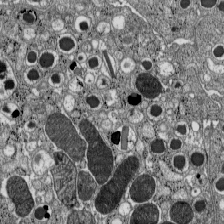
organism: C57BL Mouse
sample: Pancreatic islet